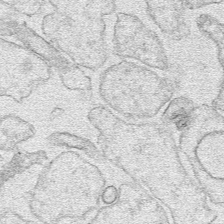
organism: Human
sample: Mitochondria in HCT116 cells